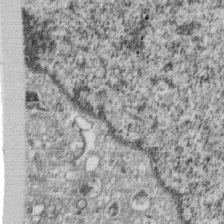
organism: African green monkey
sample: Vero E6 cells infected with SARS-CoV-2